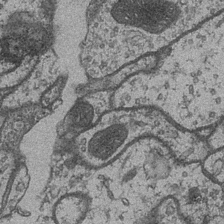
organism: Drosophila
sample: Optic medulla